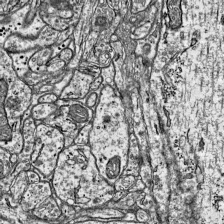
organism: Mouse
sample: Visual Cortex